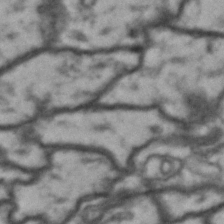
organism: Drosophila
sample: Brain